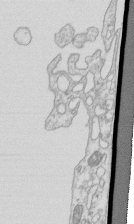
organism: Mouse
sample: Macrophages